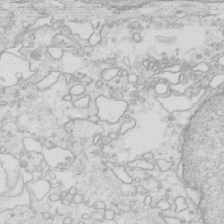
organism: Mouse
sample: Multiciliated cells